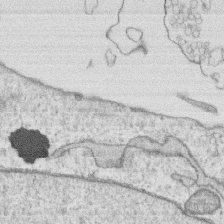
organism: Human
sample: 1205lu cells